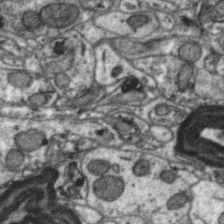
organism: Zebra finch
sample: Brain